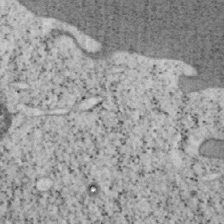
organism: Mouse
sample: OT-I killer T cells with ID8 ovarian cancer cells